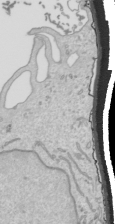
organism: Human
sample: Mitochondria in HCT116 cells